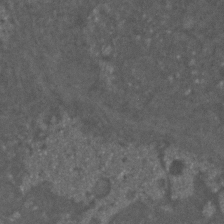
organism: C. elegans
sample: C. elegans embryo